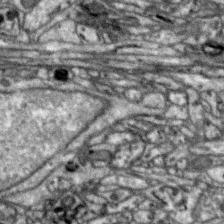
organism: Zebra finch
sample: Brain